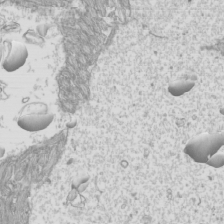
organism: Mouse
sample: Cilia; mouse epididymis